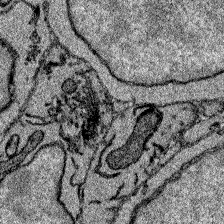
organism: Zebrafish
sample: Larval olfactory bulb